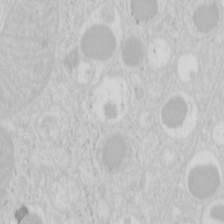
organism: Mouse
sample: Pancreas